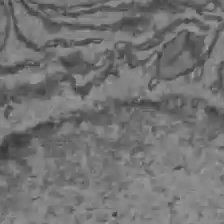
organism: C57BL Mouse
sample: Liver